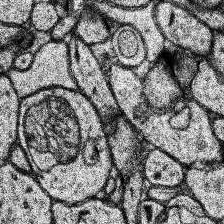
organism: Human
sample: Temporal Lobe